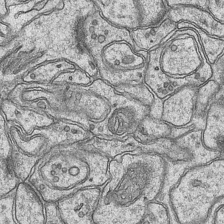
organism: Mouse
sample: CA1 Hippocampus